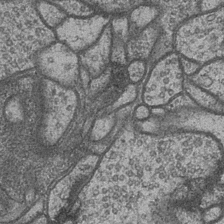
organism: Drosophila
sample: Optic medulla